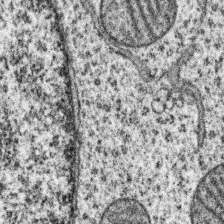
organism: Human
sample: HeLa cells